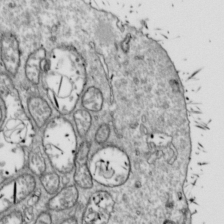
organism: Drosophila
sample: Cell division; meiosis; drosophila spermatocytes